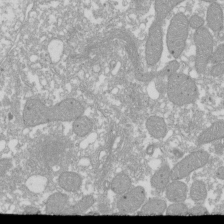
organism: Xenopus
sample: Cilia; centrioles in frog embryo cells